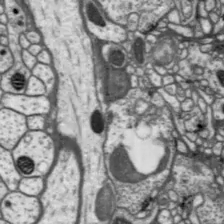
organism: Drosophila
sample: Protocerebral bridge